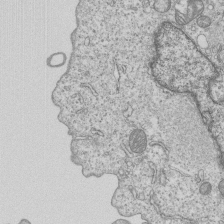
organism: Human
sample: MDA-MB-231 cells